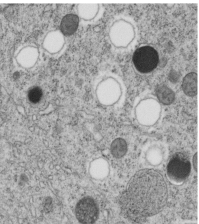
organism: C. elegans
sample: C. elegans embryo early stage